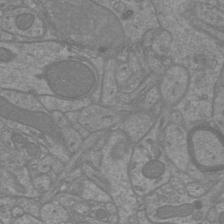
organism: Mouse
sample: Cortical neurons